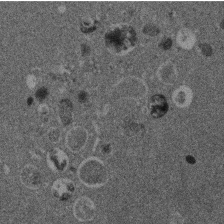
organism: Mouse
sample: Dividing mouse embryo 1 cell stage